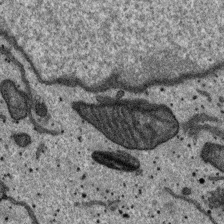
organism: Human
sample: Lung epithelial cells, uninfected (mock) control